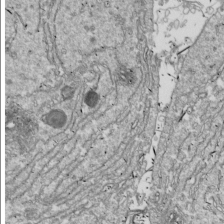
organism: Drosophila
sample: Cell division; meiosis; drosophila spermatocytes